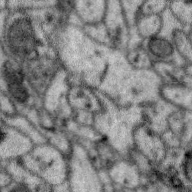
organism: Zebra finch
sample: Brain